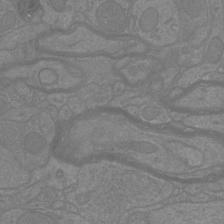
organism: Mouse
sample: Cortical neurons